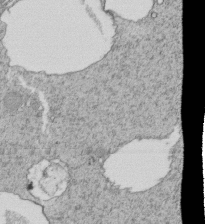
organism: Tetrahymena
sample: Cilia in tetrahymena